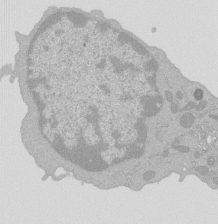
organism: Mouse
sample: Activated Pmel transgenic CD8+ T Cells